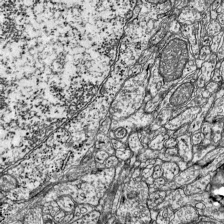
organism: Mouse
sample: Visual Cortex